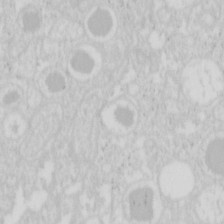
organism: Mouse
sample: Pancreas